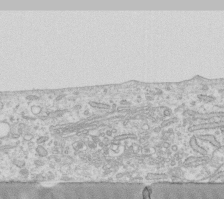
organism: Human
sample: Fibroblast cells